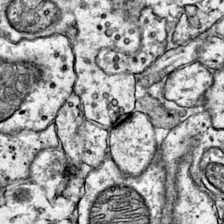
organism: Mouse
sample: Primary visual cortex